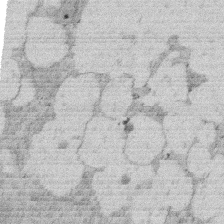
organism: Rat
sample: Salivary granule